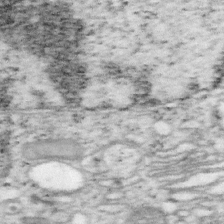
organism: Mouse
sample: OT-I killer T cells with ID8 ovarian cancer cells